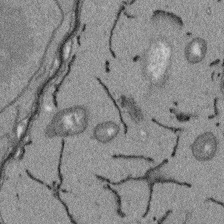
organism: Arabidopsis thaliana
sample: Root tip